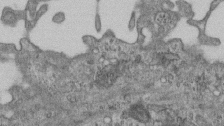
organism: Mouse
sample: Centriole in ependymal cells